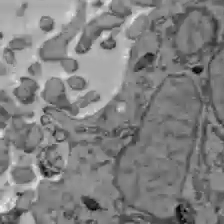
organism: C57BL Mouse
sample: Liver